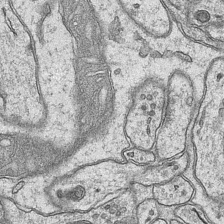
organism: Mouse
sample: CA1 Hippocampus